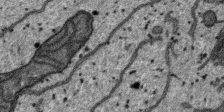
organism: Human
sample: Lung epithelial cells, uninfected (mock) control